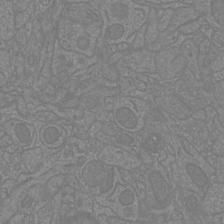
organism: Mouse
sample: Cortical neurons